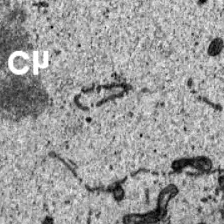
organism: Human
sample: HeLa cells